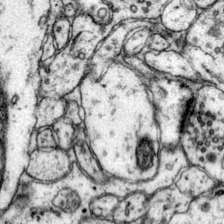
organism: Mouse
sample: Primary visual cortex